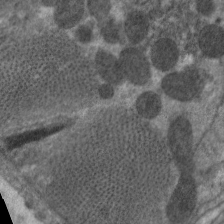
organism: C. elegans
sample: Pharynx